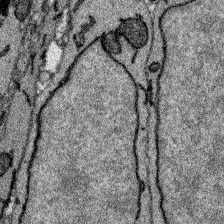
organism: Zebrafish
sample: Larval olfactory bulb